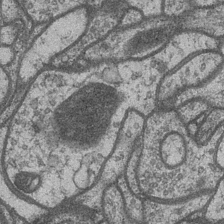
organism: Drosophila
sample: Optic medulla